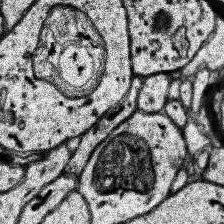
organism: Human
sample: Temporal Lobe